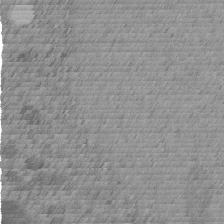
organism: C. elegans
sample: C. elegans embryo early stage